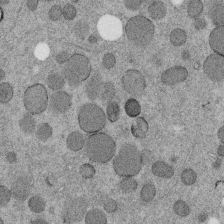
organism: C. elegans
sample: C. elegans embryo early stage